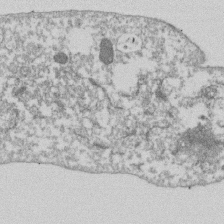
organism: Dictyostelium discoideum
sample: Dictyostelium multivesicular bodies